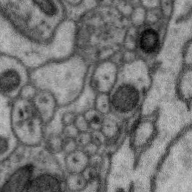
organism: Zebra finch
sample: Brain